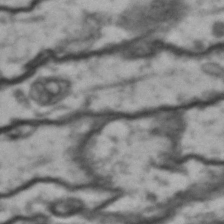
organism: Drosophila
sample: Brain